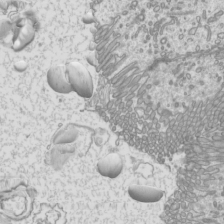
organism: Mouse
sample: Cilia; mouse epididymis